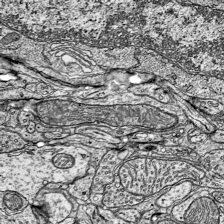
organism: Mouse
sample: Visual Cortex